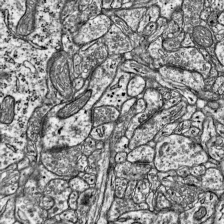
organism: Mouse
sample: Visual Cortex